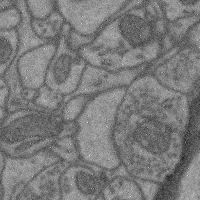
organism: Mouse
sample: Cerebral cortex